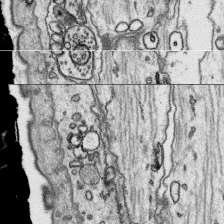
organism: Platynereis dumerilii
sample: Parapodia